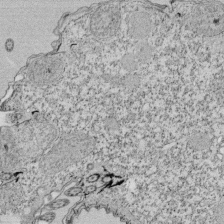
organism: Tetrahymena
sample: Cilia in tetrahymena